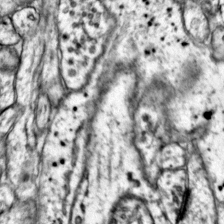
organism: Mouse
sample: Primary visual cortex